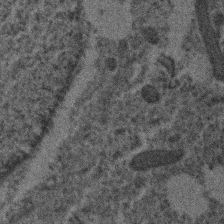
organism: Human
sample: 1205lu cells